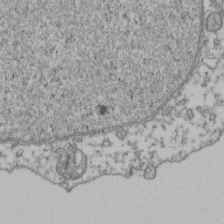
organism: Human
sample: Activated Jurkat CD4+ T cells